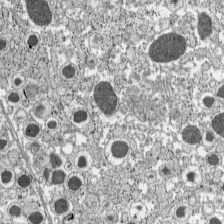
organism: C57BL Mouse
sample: Pancreatic islet